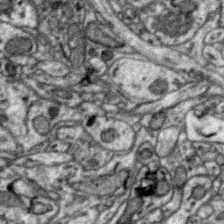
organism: Zebra finch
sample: Brain